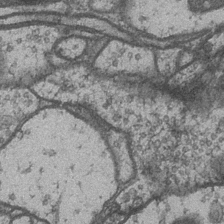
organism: Drosophila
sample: Optic medulla